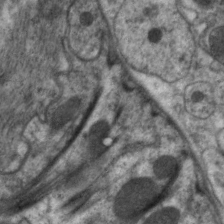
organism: C. elegans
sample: Pharynx